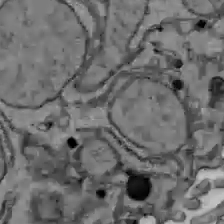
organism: C57BL Mouse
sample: Liver